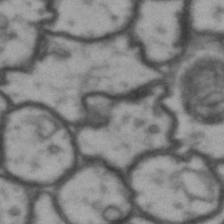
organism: Drosophila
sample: Brain